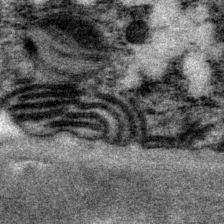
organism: P. pacificus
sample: Pharynx